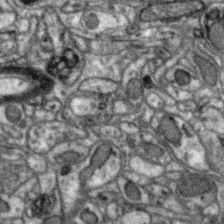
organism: Zebra finch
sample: Brain